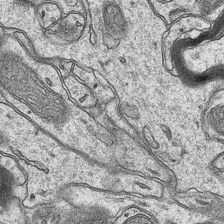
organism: Mouse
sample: CA1 Hippocampus